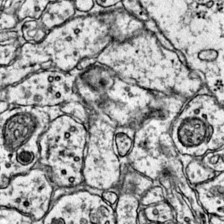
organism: Mouse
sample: Primary visual cortex